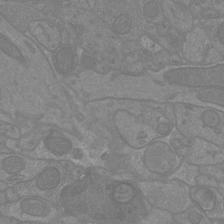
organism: Mouse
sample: Cortical neurons